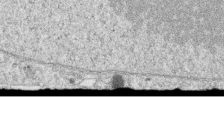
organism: Human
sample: HeLa cell HIV synapse